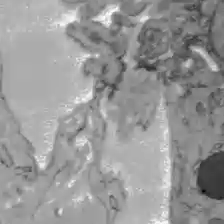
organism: C57BL Mouse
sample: Liver